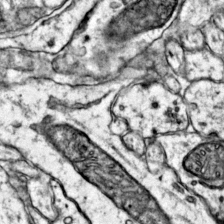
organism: Mouse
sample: Primary visual cortex